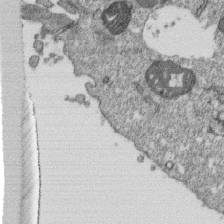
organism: African green monkey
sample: Vero E6 cells infected with SARS-CoV-2